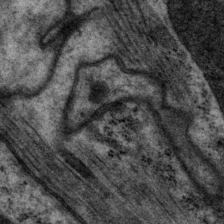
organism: P. pacificus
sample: Pharynx